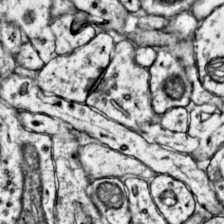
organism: Mouse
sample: Primary visual cortex